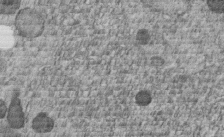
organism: C. elegans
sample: C. elegans embryo early stage